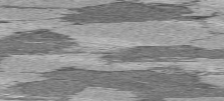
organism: C57BL Mouse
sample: Heart